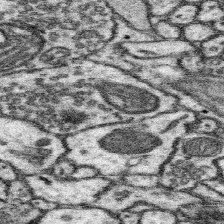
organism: Mouse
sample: Somatosensory cortex neuropil